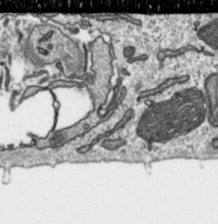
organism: Toxoplasma gondii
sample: Parasites in a vacuole inside a host cell